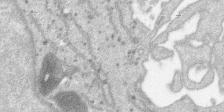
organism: Human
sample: Lung epithelial cells infected with SARS-CoV-2